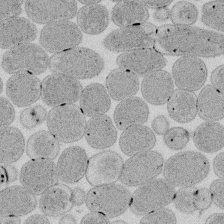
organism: E. coli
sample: Bacterial nucleoid